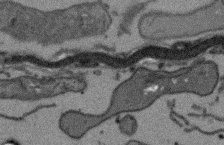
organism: Arabidopsis thaliana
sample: Root tip